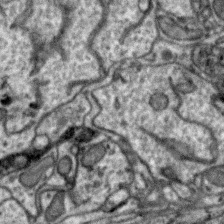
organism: Zebra finch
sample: Brain